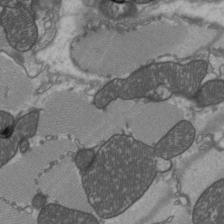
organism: C57BL Mouse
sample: Heart